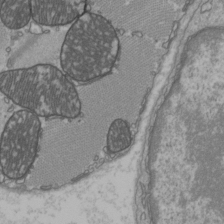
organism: C57BL Mouse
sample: Heart